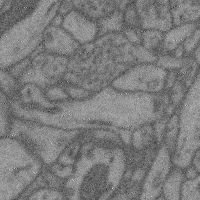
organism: Mouse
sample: Cerebral cortex